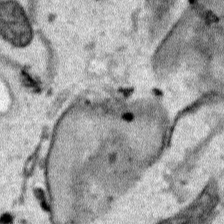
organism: Human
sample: Mitochondria in HCT116 cells